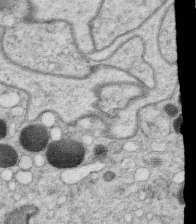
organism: C. elegans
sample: C. elegans oocyte; sperm cells